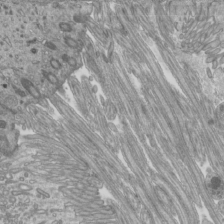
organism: Mouse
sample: Cilia; mouse epididymis